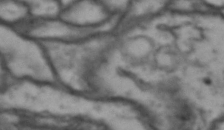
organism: Drosophila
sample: Brain